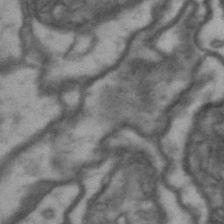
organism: Drosophila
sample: Brain